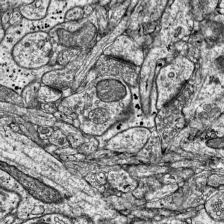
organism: Mouse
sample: Visual Cortex